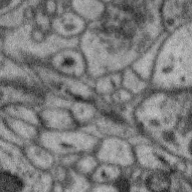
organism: Zebra finch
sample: Brain